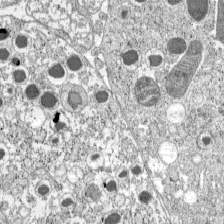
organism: C57BL Mouse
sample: Pancreatic islet